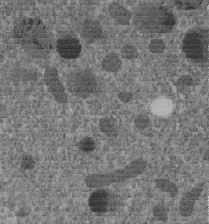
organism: C. elegans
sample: C. elegans embryo early stage